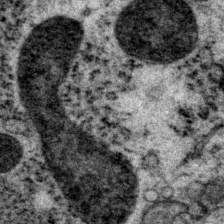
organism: P. pacificus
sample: Pharynx